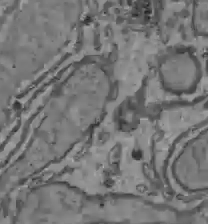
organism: C57BL Mouse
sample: Liver